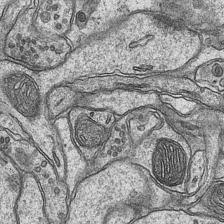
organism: Mouse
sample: CA1 Hippocampus